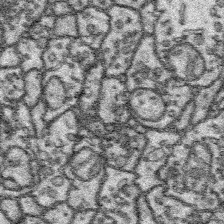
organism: Platynereis dumerilii